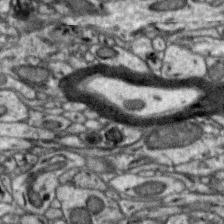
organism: Zebra finch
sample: Brain